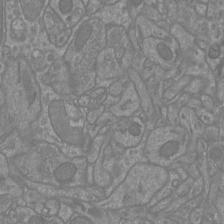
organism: Mouse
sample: Cortical neurons